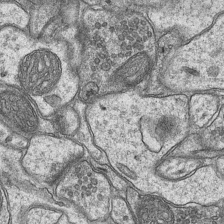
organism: Mouse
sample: CA1 Hippocampus